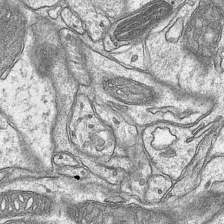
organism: Mouse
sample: CA1 Hippocampus